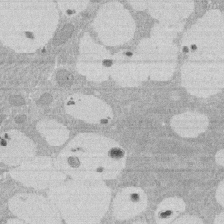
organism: Rat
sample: Salivary granule